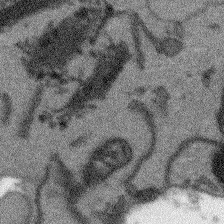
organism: Arabidopsis thaliana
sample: Root tip